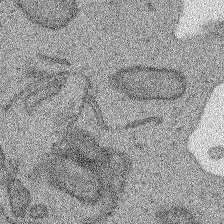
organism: Human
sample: HeLa cells